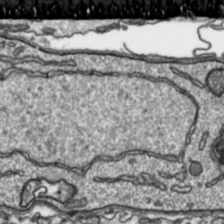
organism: Toxoplasma gondii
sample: Parasites in a vacuole inside a host cell